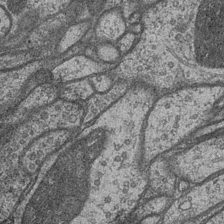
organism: Drosophila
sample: Optic medulla